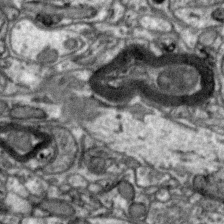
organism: Zebra finch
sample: Brain